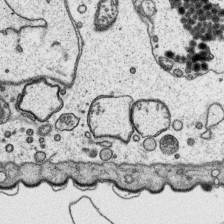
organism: Platynereis dumerilii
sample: Parapodia